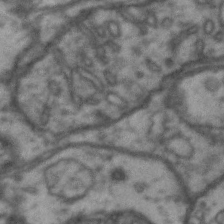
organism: Drosophila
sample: Brain